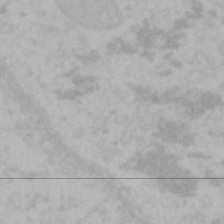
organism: Mouse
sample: Choroid plexus